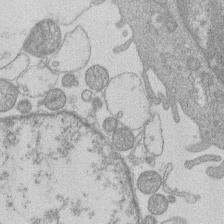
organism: Human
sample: Macrophage cells